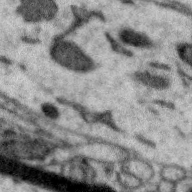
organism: Zebra finch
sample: Brain